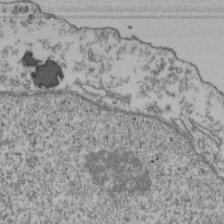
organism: Human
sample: Activated Jurkat CD4+ T cells